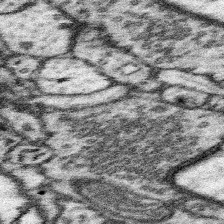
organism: Mouse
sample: Somatosensory cortex neuropil